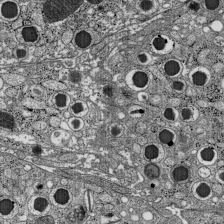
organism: C57BL Mouse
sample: Pancreatic islet